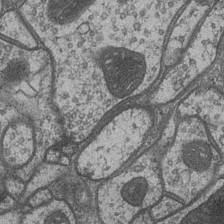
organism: Drosophila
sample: Optic medulla